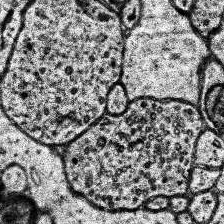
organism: Human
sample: Temporal Lobe